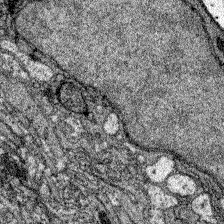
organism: Zebrafish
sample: Larval olfactory bulb